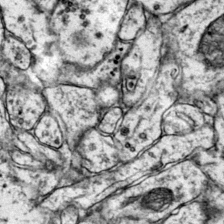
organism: Mouse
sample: Primary visual cortex